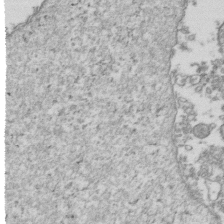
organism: Human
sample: Activated Jurkat CD4+ T cells